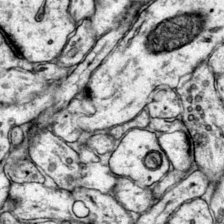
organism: Mouse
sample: Primary visual cortex